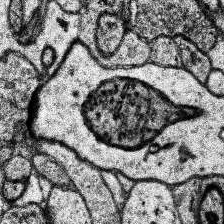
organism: Human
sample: Temporal Lobe